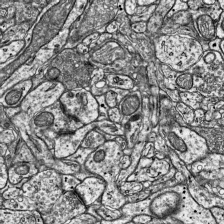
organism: Mouse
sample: Visual Cortex